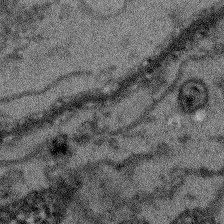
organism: Arabidopsis thaliana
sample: Root tip